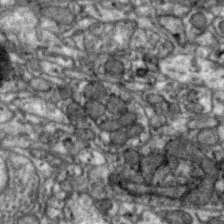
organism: Zebra finch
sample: Brain